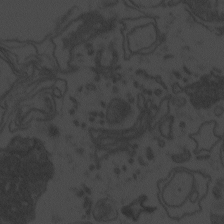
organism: Zebrafish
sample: Macrophage infected with Toxoplasma gondii